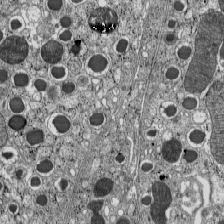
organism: C57BL Mouse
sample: Pancreatic islet